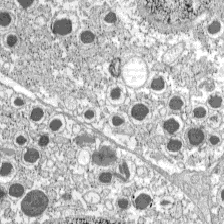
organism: C57BL Mouse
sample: Pancreatic islet